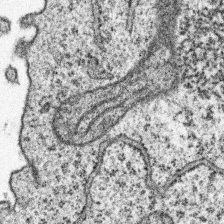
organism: Human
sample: HeLa cells